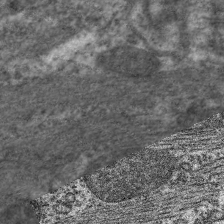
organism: C. elegans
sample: Pharynx